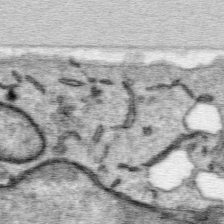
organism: Human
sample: HeLa cells